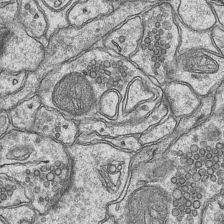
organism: Mouse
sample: CA1 Hippocampus